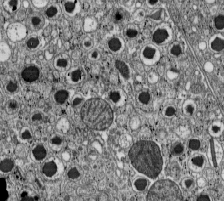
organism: C57BL Mouse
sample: Pancreatic islet